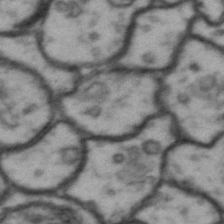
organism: Drosophila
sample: Brain